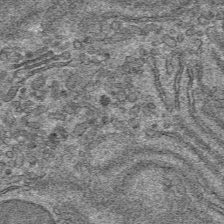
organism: Mouse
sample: Mouse hepatocytes